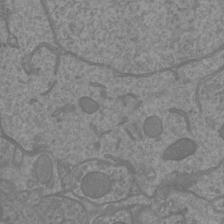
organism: Mouse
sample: Cortical neurons